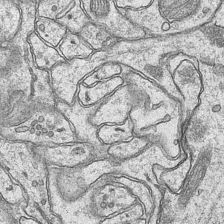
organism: Mouse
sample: CA1 Hippocampus